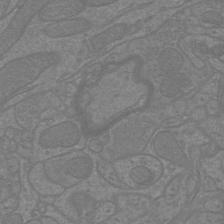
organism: Mouse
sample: Cortical neurons